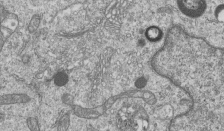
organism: Human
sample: MDA-MB-231 cells